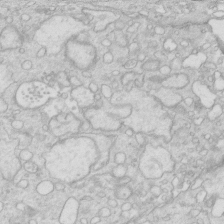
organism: Mouse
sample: Multiciliated cells